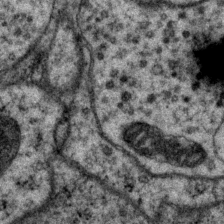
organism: P. pacificus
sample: Pharynx